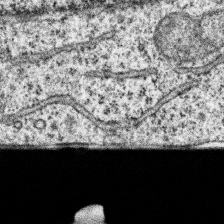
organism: Human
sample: HeLa cells